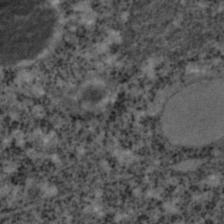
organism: C. elegans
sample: C. elegans embryo